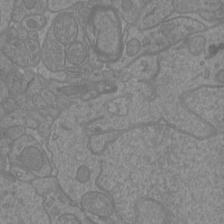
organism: Mouse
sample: Cortical neurons